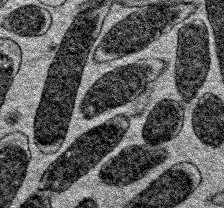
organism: E. coli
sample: E. Coli Bacteria